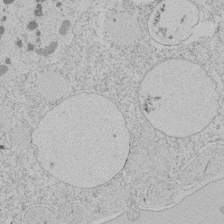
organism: Tetrahymena